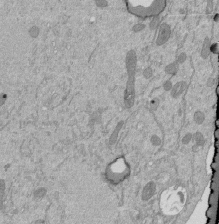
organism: Mouse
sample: ED-1 cell nuclei; centrioles